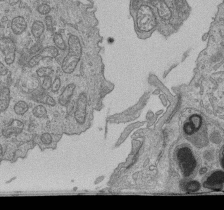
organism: Human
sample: Retinal organoid Rod and Cone cells